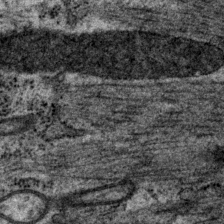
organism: P. pacificus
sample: Pharynx